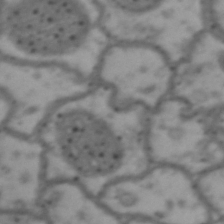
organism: Drosophila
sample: Brain